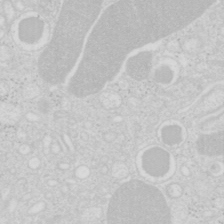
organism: Mouse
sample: Pancreas